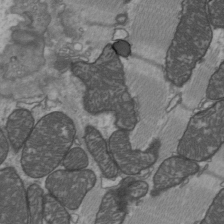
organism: C57BL Mouse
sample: Heart